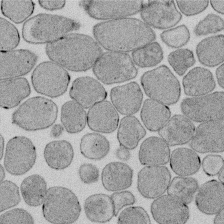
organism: E. coli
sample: Bacterial nucleoid